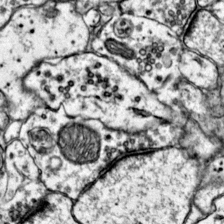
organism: Mouse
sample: Primary visual cortex